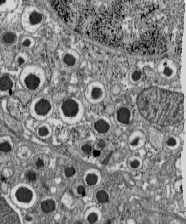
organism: C57BL Mouse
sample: Pancreatic islet